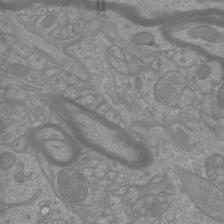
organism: Mouse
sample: Cortical neurons